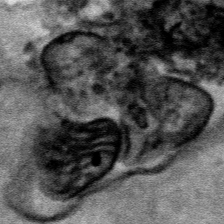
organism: Human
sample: Mitochondria in HCT116 cells